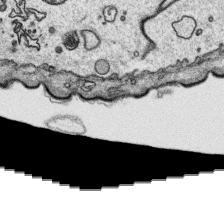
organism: Platynereis dumerilii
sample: Parapodia